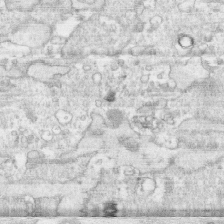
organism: Human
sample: CRL-1474